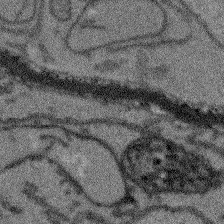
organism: Arabidopsis thaliana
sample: Root tip